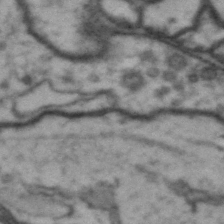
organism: Drosophila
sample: Brain